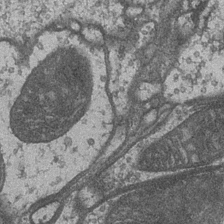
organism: Drosophila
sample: Optic medulla